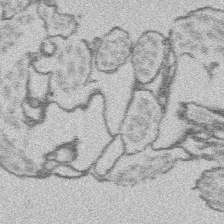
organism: Platynereis dumerilii